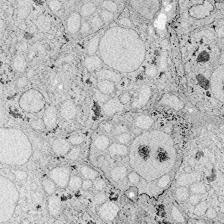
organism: Zebrafish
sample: Whole-Brain